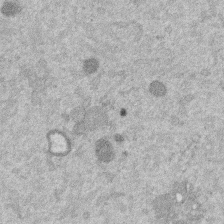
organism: Mouse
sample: Dividing mouse embryo 1 cell stage